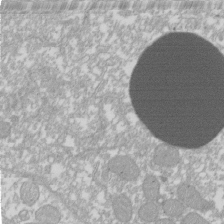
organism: Xenopus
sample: Cilia; centrioles in frog embryo cells